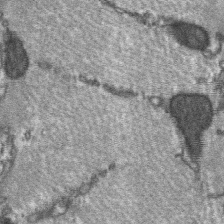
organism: C57BL Mouse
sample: Soleus